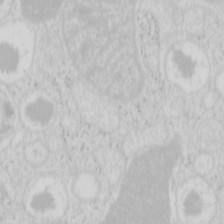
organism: Mouse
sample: Pancreas